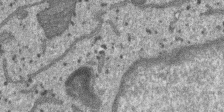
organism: Human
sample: Lung epithelial cells infected with SARS-CoV-2